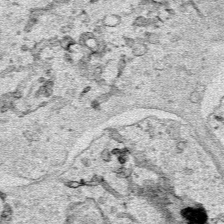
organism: Human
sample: Mitochondria in HCT116 cells